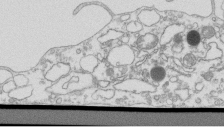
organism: Mouse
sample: Macrophages